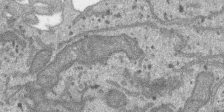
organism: Human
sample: Lung epithelial cells infected with SARS-CoV-2